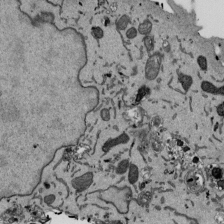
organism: Mouse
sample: ED-1 cell nuclei; centrioles